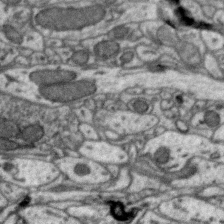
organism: Zebra finch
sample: Brain